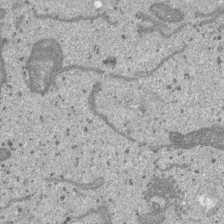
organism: Human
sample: Lung epithelial cells infected with SARS-CoV-2